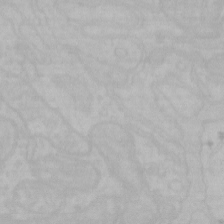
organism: Mouse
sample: Choroid plexus